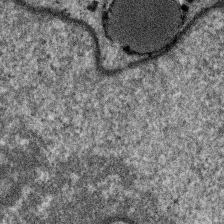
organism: Human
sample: Lung epithelial cells infected with SARS-CoV-2